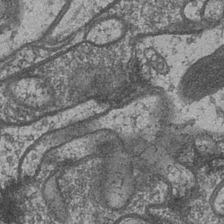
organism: Drosophila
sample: Optic medulla